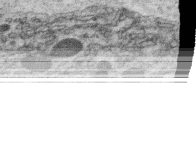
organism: C. elegans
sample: C. elegans oocyte; sperm cells